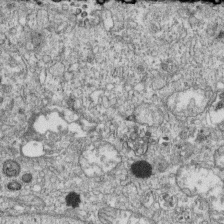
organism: Human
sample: HeLa cell HIV synapse